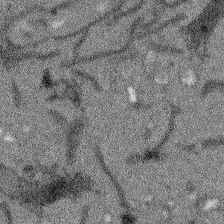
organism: Arabidopsis thaliana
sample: Root tip